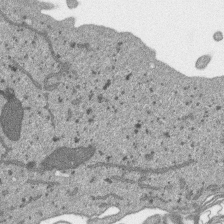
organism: Human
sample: Lung epithelial cells infected with SARS-CoV-2